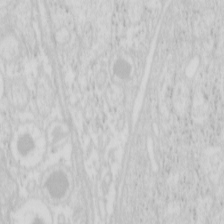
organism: Mouse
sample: Pancreas